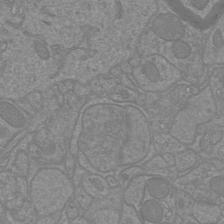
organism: Mouse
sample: Cortical neurons